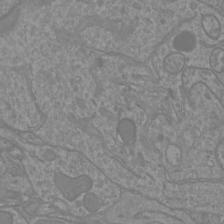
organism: Mouse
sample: Cortical neurons